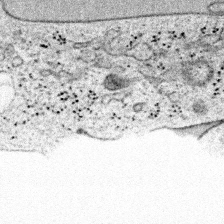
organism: Human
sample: HeLa cells